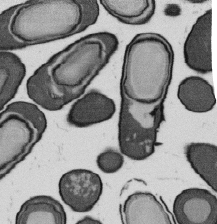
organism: B. subtilis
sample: Bacterial spore